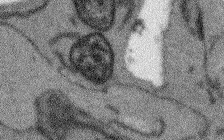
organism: Arabidopsis thaliana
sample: Root tip